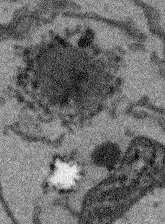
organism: Arabidopsis thaliana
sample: Root tip